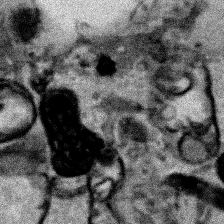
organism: Human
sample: Mitochondria in HCT116 cells